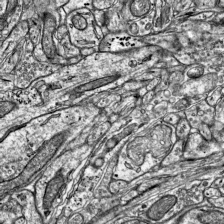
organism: Mouse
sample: Visual Cortex